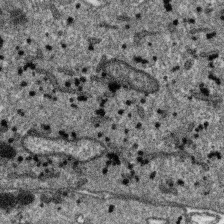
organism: Human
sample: Lung epithelial cells infected with SARS-CoV-2